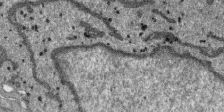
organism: Human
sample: Lung epithelial cells, uninfected (mock) control